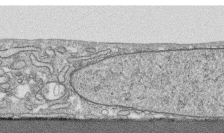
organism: Human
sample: CRL-1474